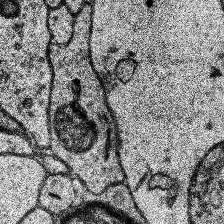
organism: Human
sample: Temporal Lobe